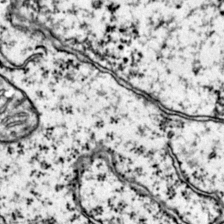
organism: Mouse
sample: Primary visual cortex